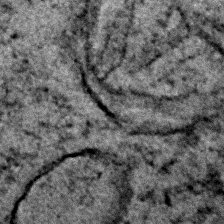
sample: Trachea